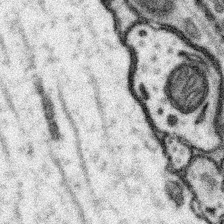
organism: Mouse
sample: Somatosensory cortex neuropil